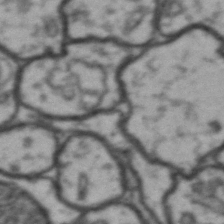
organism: Drosophila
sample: Brain